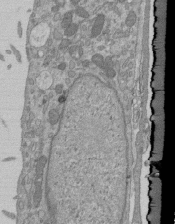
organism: Mouse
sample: ED-1 cell nuclei; centrioles